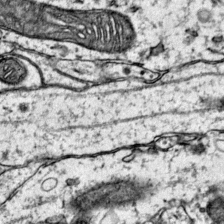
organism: Mouse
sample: Primary visual cortex